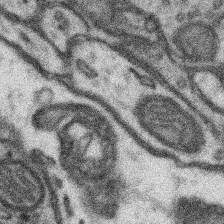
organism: Mouse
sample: Somatosensory cortex neuropil